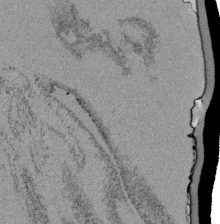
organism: Tetrahymena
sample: Cilia in tetrahymena